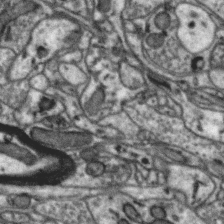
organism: Zebra finch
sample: Brain